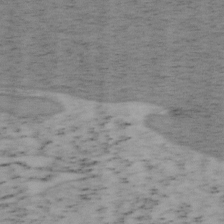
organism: Mouse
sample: OT-I killer T cells with ID8 ovarian cancer cells